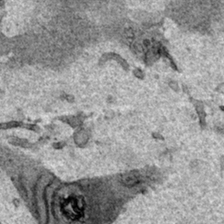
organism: Human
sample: Mitochondria in HCT116 cells